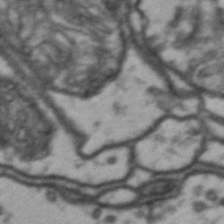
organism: Drosophila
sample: Brain